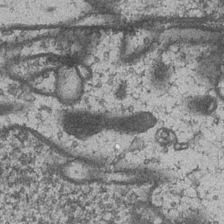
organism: Drosophila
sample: Optic medulla